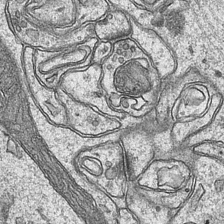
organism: Mouse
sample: CA1 Hippocampus